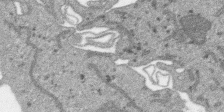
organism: Human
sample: Lung epithelial cells infected with SARS-CoV-2